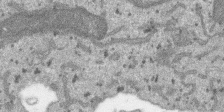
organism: Human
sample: Lung epithelial cells infected with SARS-CoV-2